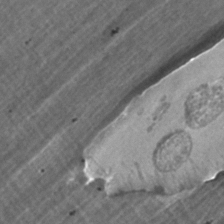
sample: Trachea